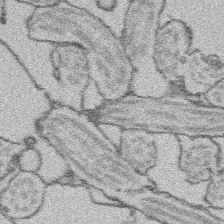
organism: Platynereis dumerilii